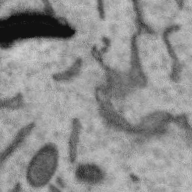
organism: Zebra finch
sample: Brain